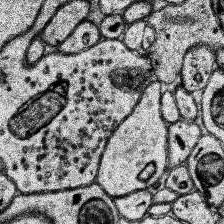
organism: Human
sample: Temporal Lobe